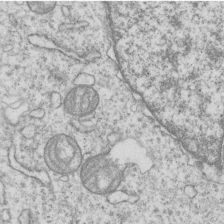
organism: Human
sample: MDA-MB-231 cells